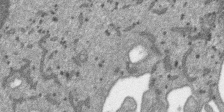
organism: Human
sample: Lung epithelial cells infected with SARS-CoV-2